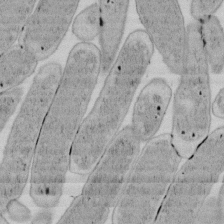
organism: E. coli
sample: Bacterial nucleoid